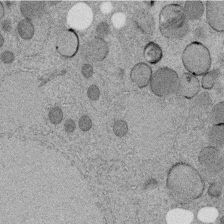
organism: C. elegans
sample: C. elegans embryo early stage